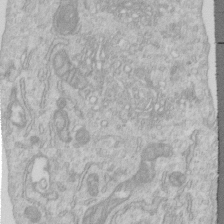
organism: Human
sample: Centriole in RPE cells